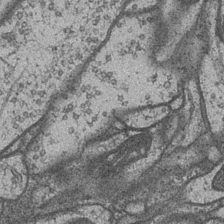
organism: Drosophila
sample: Optic medulla